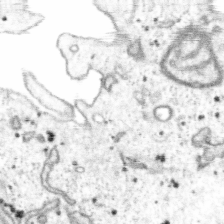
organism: Human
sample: HeLa cells